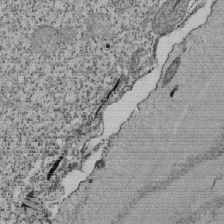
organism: Tetrahymena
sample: Cilia in tetrahymena